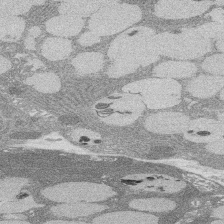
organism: Rat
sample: Salivary granule